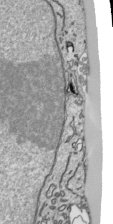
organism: Human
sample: Mitochondria in HCT116 cells